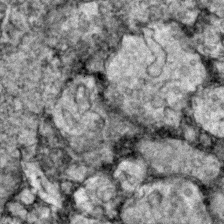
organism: Zebrafish